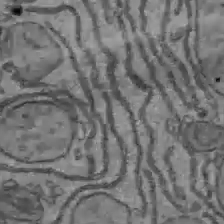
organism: C57BL Mouse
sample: Liver